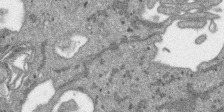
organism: Human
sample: Lung epithelial cells infected with SARS-CoV-2